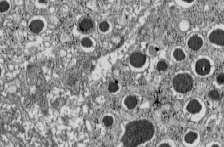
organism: C57BL Mouse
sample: Pancreatic islet